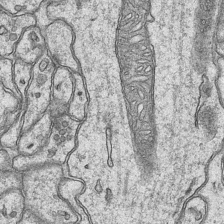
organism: Mouse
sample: CA1 Hippocampus